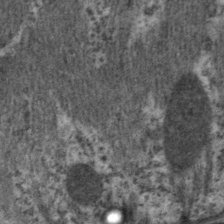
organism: C. elegans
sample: Pharynx